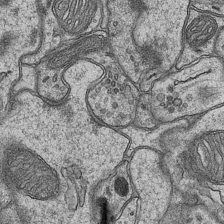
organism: Mouse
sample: CA1 Hippocampus